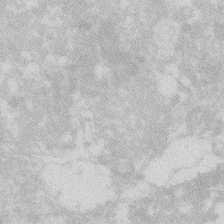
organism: Zebrafish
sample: Macrophage